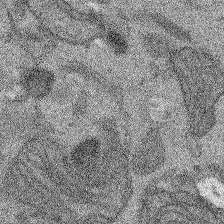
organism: Human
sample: HeLa cells